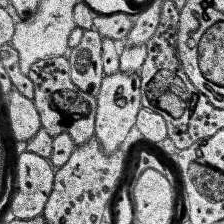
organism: Human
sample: Temporal Lobe